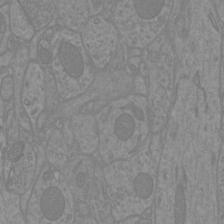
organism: Mouse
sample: Cortical neurons